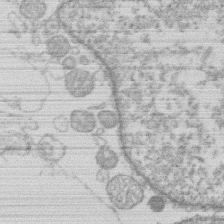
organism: Human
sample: Macrophage cells